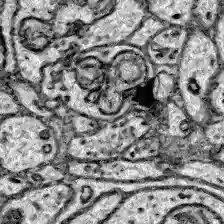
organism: Zebrafish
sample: Brain